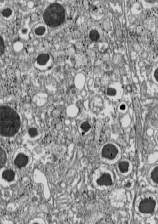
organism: C57BL Mouse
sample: Pancreatic islet